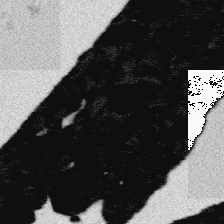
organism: Platynereis dumerilii